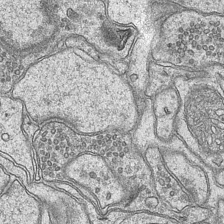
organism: Mouse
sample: CA1 Hippocampus